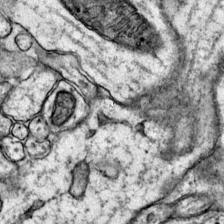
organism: Mouse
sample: Primary visual cortex